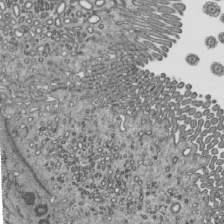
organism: Mouse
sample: Mouse epididymis efferent ductule cilia